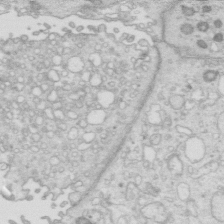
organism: Mouse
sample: Multiciliated cells